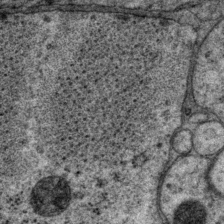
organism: P. pacificus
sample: Pharynx